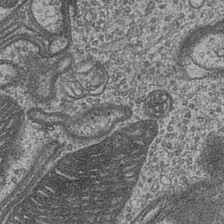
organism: Drosophila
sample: Optic medulla